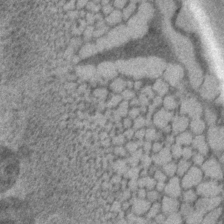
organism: P. pacificus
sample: Pharynx